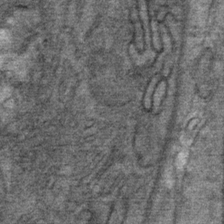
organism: Mouse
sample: Mouse Salivary gland